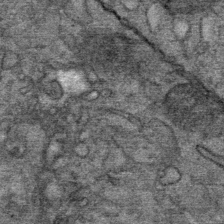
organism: Mouse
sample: Mouse Salivary gland